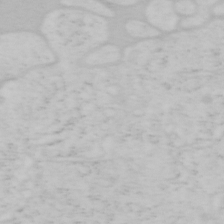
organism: Mouse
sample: OT-I killer T cells with ID8 ovarian cancer cells